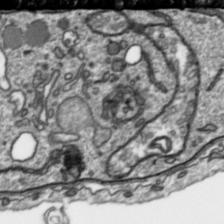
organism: Toxoplasma gondii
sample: Parasites in a vacuole inside a host cell